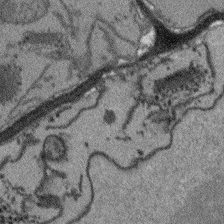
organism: Arabidopsis thaliana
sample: Root tip